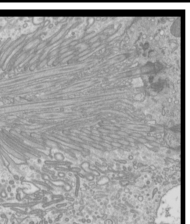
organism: Mouse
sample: Cilia; mouse epididymis